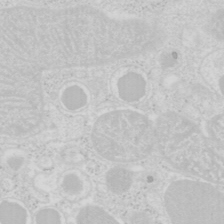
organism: Mouse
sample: Pancreas